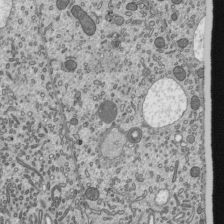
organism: Mouse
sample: Mouse epididymis efferent ductule cilia